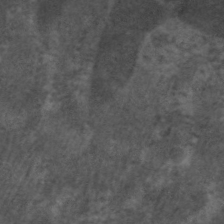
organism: C. elegans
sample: Pharynx